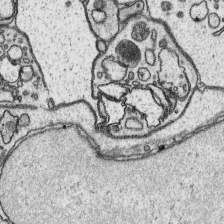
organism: Platynereis dumerilii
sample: Parapodia